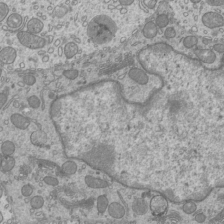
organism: Mouse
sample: Cilia; mouse epididymis